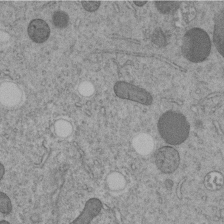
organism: C. elegans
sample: C. elegans embryo early stage